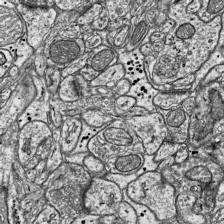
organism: Mouse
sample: Visual Cortex